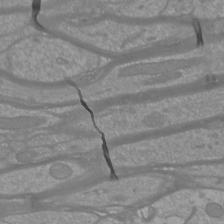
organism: Mouse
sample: Cortical neurons